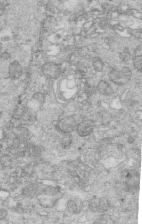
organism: Mouse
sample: Multiciliated cells